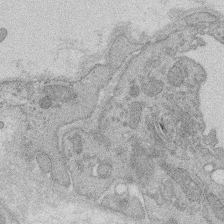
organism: Rat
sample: Salivary granule